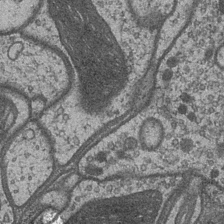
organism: Drosophila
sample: Optic medulla